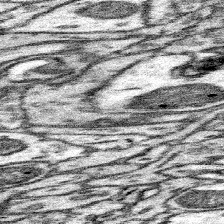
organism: Mouse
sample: Somatosensory cortex neuropil